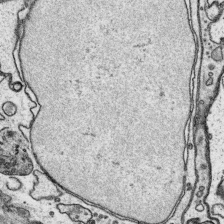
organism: Platynereis dumerilii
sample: Parapodia